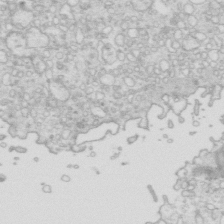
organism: Mouse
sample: Multiciliated cells